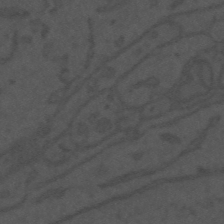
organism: Mouse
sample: Suprachiasmatic nucleus